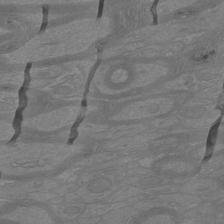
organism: Mouse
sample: Cortical neurons